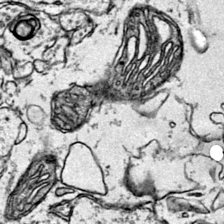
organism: Mouse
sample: Primary visual cortex